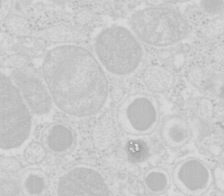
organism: Mouse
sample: Pancreas